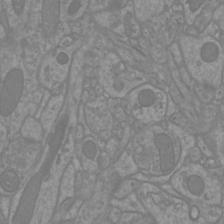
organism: Mouse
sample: Cortical neurons